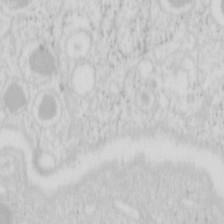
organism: Mouse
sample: Pancreas